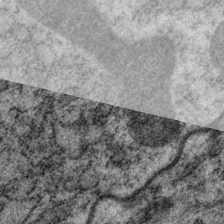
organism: P. pacificus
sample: Pharynx